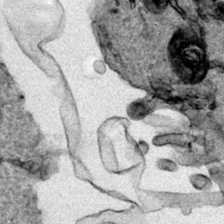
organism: Human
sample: Mitochondria in HCT116 cells